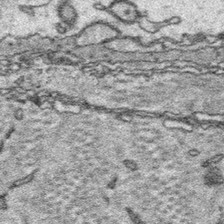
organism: Platynereis dumerilii